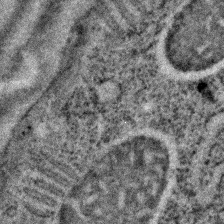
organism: C. elegans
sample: C. elegans embryo